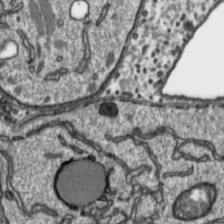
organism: Toxoplasma gondii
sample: Parasites in a vacuole inside a host cell